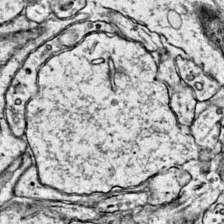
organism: Mouse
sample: Primary visual cortex